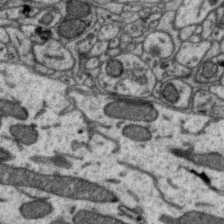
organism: Zebra finch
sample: Brain